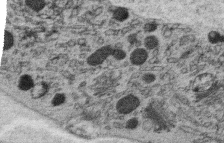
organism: C. elegans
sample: C. elegans oocyte; sperm cells